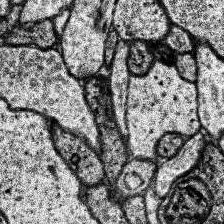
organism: Human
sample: Temporal Lobe